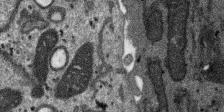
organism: Human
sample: Lung epithelial cells infected with SARS-CoV-2